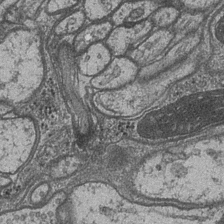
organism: Drosophila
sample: Optic medulla